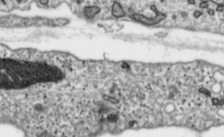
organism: Toxoplasma gondii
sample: Parasites in a vacuole inside a host cell